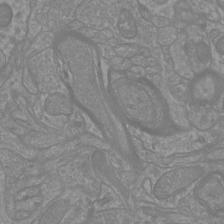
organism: Mouse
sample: Cortical neurons